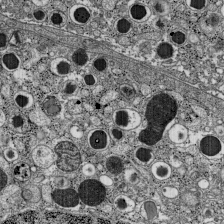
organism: C57BL Mouse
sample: Pancreatic islet